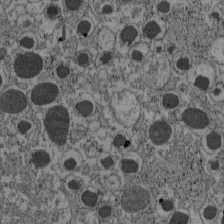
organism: C57BL Mouse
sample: Pancreatic islet